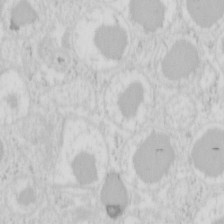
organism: Mouse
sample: Pancreas